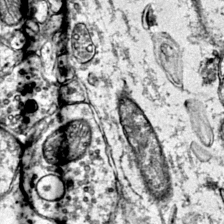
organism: Mouse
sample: Primary visual cortex